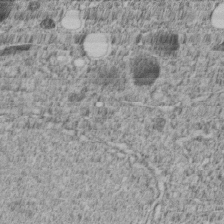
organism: C. elegans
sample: C. elegans embryo early stage